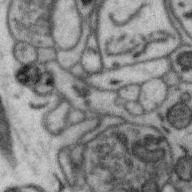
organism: Zebra finch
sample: Brain